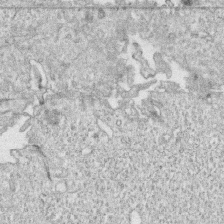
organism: Human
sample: HeLa cell HIV synapse